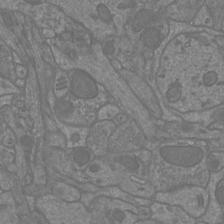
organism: Mouse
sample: Cortical neurons